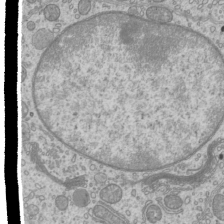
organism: Mouse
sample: Cilia; mouse epididymis